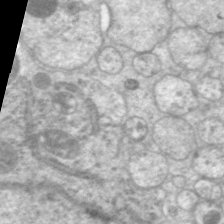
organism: C. elegans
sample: Pharynx